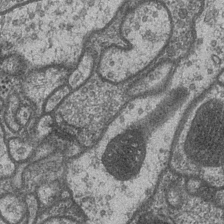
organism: Drosophila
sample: Optic medulla